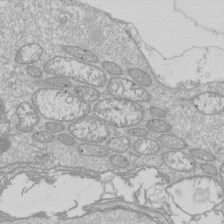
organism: Drosophila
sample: Cell division; meiosis; drosophila spermatocytes